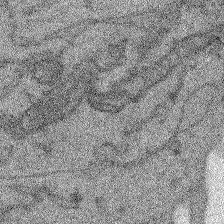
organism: Human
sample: HeLa cells